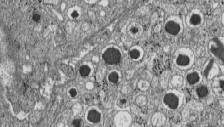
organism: C57BL Mouse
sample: Pancreatic islet